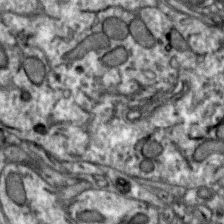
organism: Zebra finch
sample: Brain